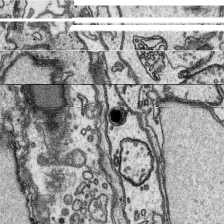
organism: Platynereis dumerilii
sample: Parapodia